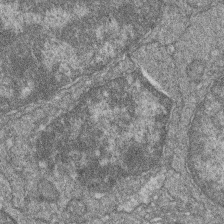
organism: Zebrafish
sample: Cilia; retinal pigment epithelium